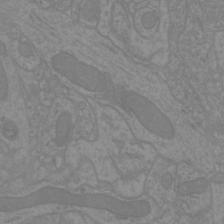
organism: Mouse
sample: Cortical neurons